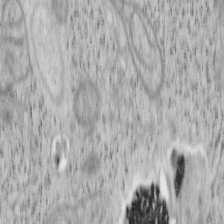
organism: Human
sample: HeLa cells